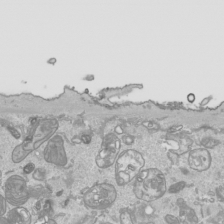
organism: Human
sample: Mitochondria in HCT116 cells